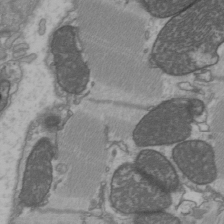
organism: C57BL Mouse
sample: Heart